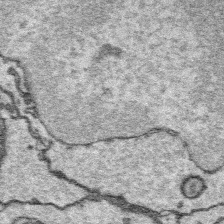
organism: Platynereis dumerilii